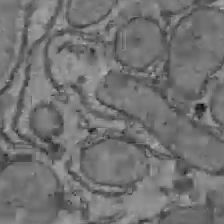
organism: C57BL Mouse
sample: Liver